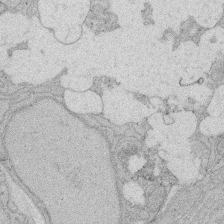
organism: Rat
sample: Salivary granule